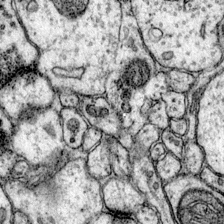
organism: Mouse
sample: Primary visual cortex